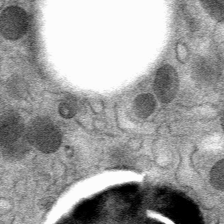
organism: Mouse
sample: Mouse Salivary gland